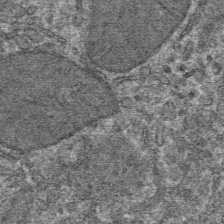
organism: Mouse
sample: Mouse hepatocytes